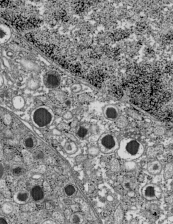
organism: C57BL Mouse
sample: Pancreatic islet